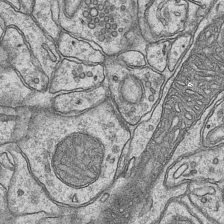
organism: Mouse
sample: CA1 Hippocampus